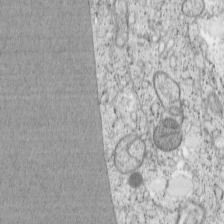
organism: African green monkey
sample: COS-7 cells